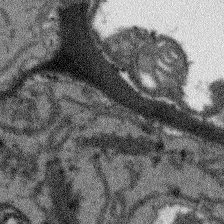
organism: Arabidopsis thaliana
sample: Root tip